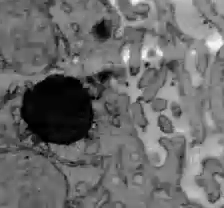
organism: C57BL Mouse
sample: Liver